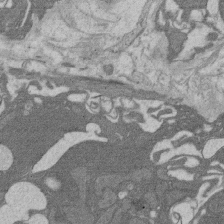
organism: Rat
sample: Salivary granule